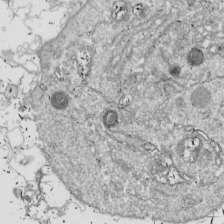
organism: Drosophila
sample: Cell division; meiosis; drosophila spermatocytes